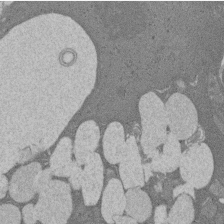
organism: Rat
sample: Salivary granule